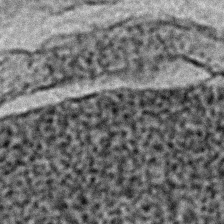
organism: C. elegans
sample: C. elegans embryo